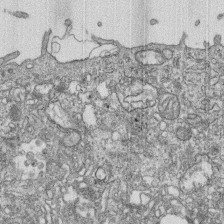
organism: Human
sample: HeLa cell HIV synapse